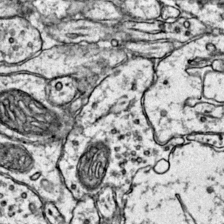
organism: Mouse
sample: Primary visual cortex